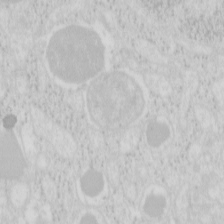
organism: Mouse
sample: Pancreas